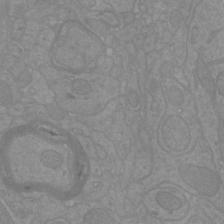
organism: Mouse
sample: Cortical neurons